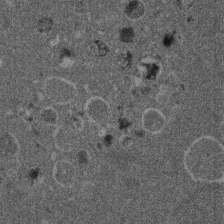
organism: Mouse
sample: Dividing mouse embryo 1 cell stage